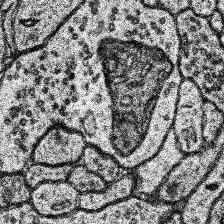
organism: Human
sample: Temporal Lobe